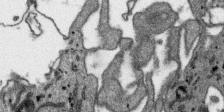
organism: Human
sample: Lung epithelial cells, uninfected (mock) control